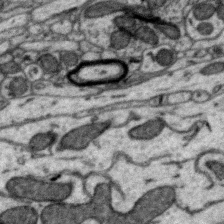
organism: Zebra finch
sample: Brain